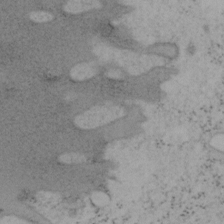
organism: Mouse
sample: OT-I killer T cells with ID8 ovarian cancer cells